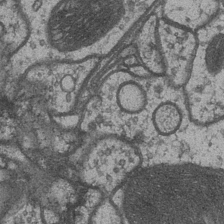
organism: Drosophila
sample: Optic medulla